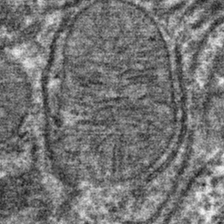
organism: Mouse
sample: Mouse hepatocytes